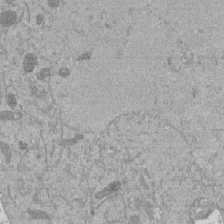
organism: Mouse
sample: ED-1 cell nuclei; centrioles